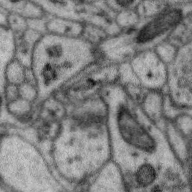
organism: Zebra finch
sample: Brain